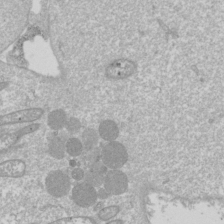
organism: Drosophila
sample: Cell division; meiosis; drosophila spermatocytes